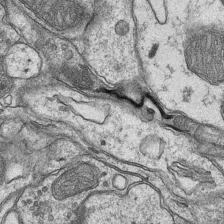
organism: Mouse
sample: CA1 Hippocampus